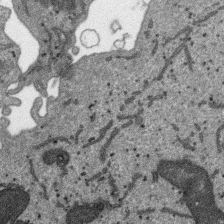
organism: Human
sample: Lung epithelial cells infected with SARS-CoV-2